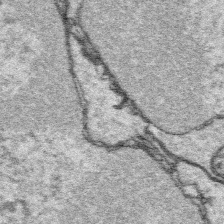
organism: Platynereis dumerilii